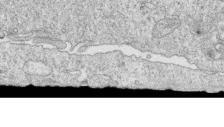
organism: Human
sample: HeLa cell HIV synapse